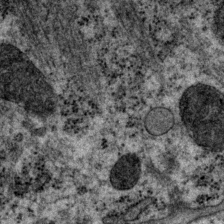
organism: P. pacificus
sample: Pharynx